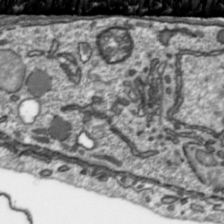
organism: Toxoplasma gondii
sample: Parasites in a vacuole inside a host cell